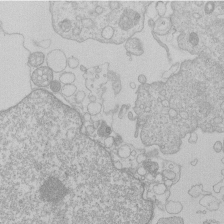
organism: Human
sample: Macrophage cells